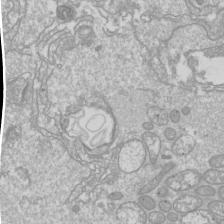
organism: Drosophila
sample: Cell division; meiosis; drosophila spermatocytes